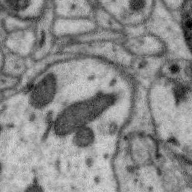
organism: Zebra finch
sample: Brain